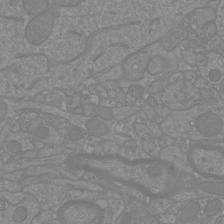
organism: Mouse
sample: Cortical neurons